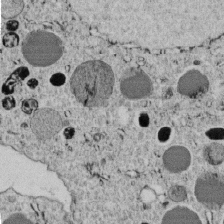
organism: C. elegans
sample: C. elegans embryo early stage